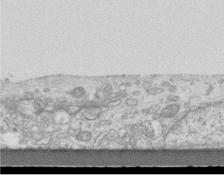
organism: Mouse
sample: Centriole in ependymal cells